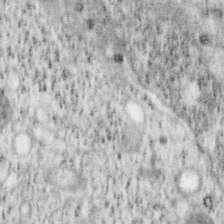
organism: Mouse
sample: OT-I killer T cells with ID8 ovarian cancer cells